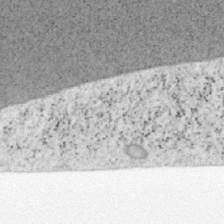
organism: Mouse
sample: OT-I killer T cells with ID8 ovarian cancer cells